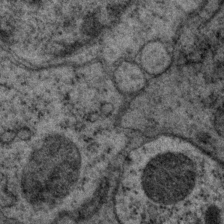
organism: P. pacificus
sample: Pharynx